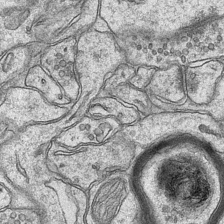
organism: Mouse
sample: CA1 Hippocampus